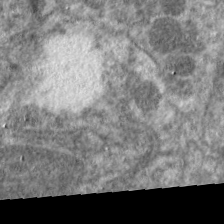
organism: C. elegans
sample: Pharynx